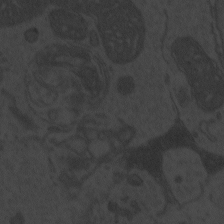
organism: Zebrafish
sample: Macrophage infected with Toxoplasma gondii